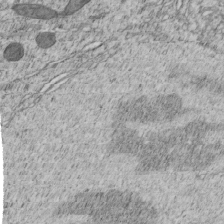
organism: C. elegans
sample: C. elegans embryo early stage